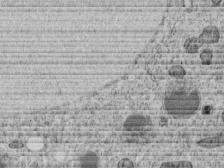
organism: C. elegans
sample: C. elegans embryo early stage